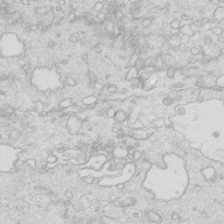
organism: Mouse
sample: Multiciliated cells